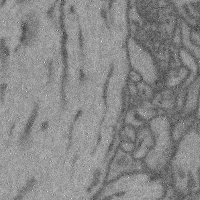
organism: Mouse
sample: Cerebral cortex